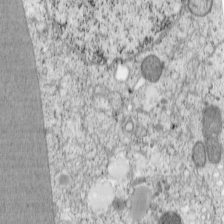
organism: African green monkey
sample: COS-7 cells